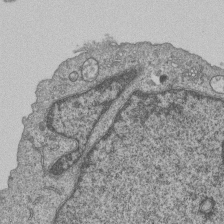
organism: Human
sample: MDA-MB-231 cells